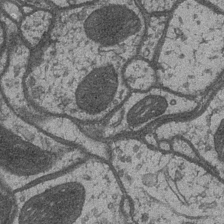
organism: Drosophila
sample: Optic medulla